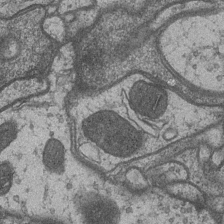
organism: Drosophila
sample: Optic medulla